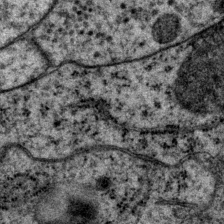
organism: P. pacificus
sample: Pharynx